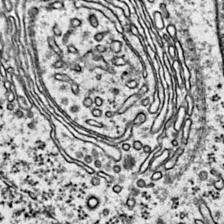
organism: Mouse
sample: Primary visual cortex